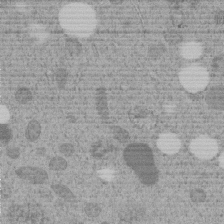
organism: C. elegans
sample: C. elegans embryo early stage